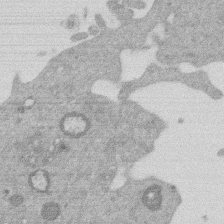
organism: Mouse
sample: Dividing mouse embryo 1 cell stage